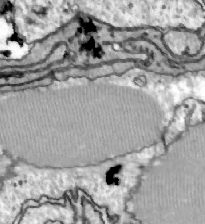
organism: Zebrafish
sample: Actinotrichia fibers